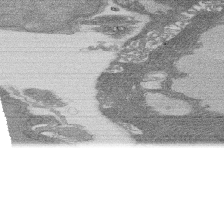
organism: Rat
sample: Salivary granule